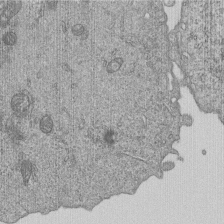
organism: Human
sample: MDA-MB-231 cells